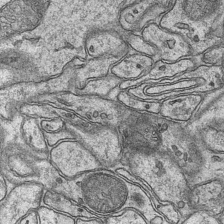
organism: Mouse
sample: CA1 Hippocampus